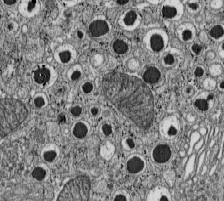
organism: C57BL Mouse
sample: Pancreatic islet